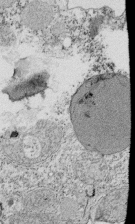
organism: Tetrahymena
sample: Cilia in tetrahymena